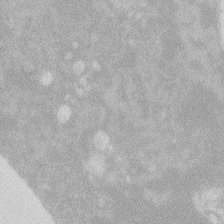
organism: Zebrafish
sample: Macrophage